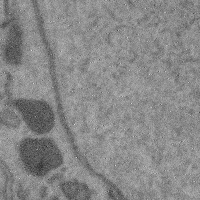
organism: Mouse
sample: Cerebral cortex